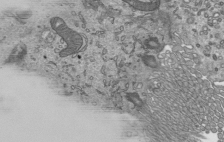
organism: Mouse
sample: Mouse epididymis efferent ductule cilia